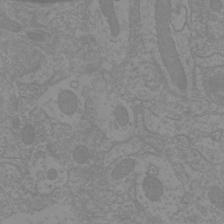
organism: Mouse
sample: Cortical neurons